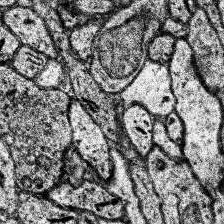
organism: Human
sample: Temporal Lobe